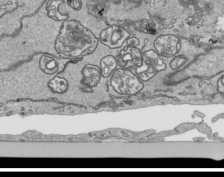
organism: Human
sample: Mitochondria in HCT116 cells